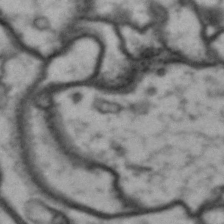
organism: Drosophila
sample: Brain